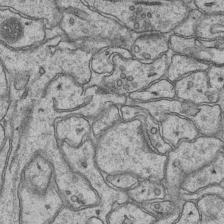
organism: Mouse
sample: CA1 Hippocampus